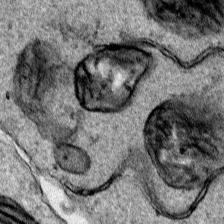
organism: Human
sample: Mitochondria in HCT116 cells